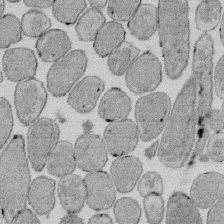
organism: E. coli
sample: Bacterial nucleoid